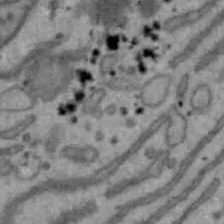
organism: Mouse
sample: Liver